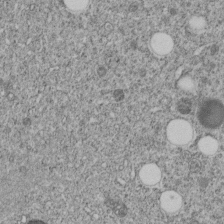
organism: C. elegans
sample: C. elegans embryo early stage